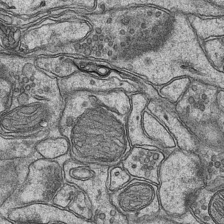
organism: Mouse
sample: CA1 Hippocampus